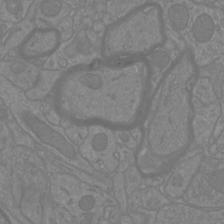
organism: Mouse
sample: Cortical neurons